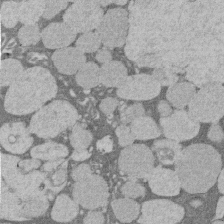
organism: Rat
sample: Salivary granule